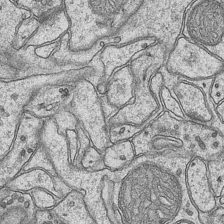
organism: Mouse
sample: CA1 Hippocampus